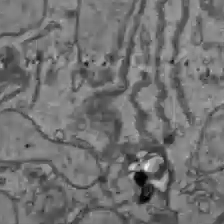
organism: C57BL Mouse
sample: Liver